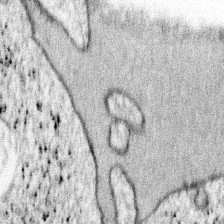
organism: Human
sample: HeLa cells